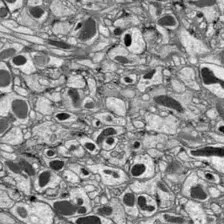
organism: Drosophila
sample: Optic lobe